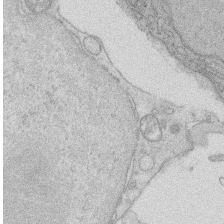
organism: Rat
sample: Salivary granule